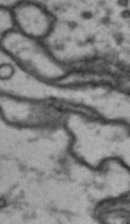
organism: Drosophila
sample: Brain